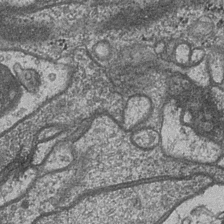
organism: Drosophila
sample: Optic medulla